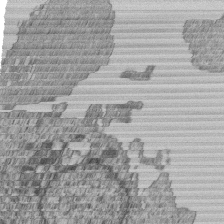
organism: Human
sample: MDA-MB-231 cells